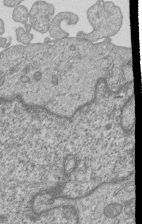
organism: Human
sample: MDA-MB-231 cells